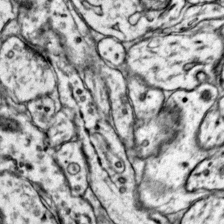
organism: Mouse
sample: Primary visual cortex